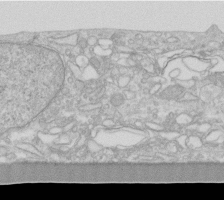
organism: Human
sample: Fibroblast cells